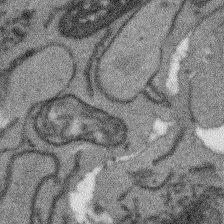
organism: Arabidopsis thaliana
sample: Root tip